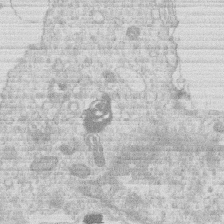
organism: Human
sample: Macrophage cells